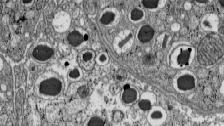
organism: C57BL Mouse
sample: Pancreatic islet